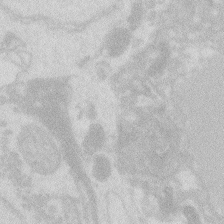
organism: Zebrafish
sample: Macrophage